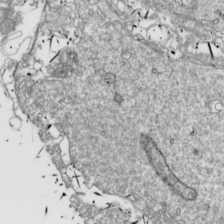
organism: Drosophila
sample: Cell division; meiosis; drosophila spermatocytes